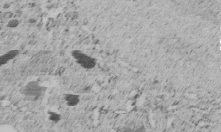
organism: C. elegans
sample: C. elegans embryo early stage